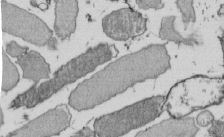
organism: E. coli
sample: Bacterial nucleoid